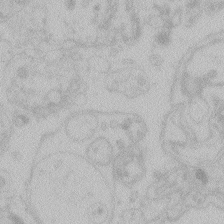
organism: Zebrafish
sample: Macrophage infected with Toxoplasma gondii